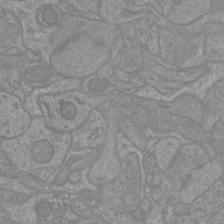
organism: Mouse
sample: Cortical neurons